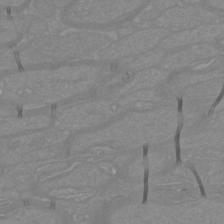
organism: Mouse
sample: Cortical neurons